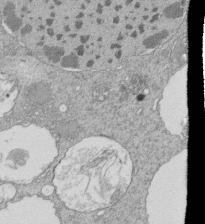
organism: Tetrahymena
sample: Cilia in tetrahymena